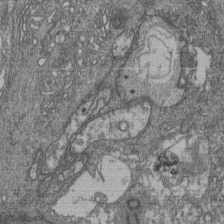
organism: Human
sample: Retinal organoid Rod and Cone cells